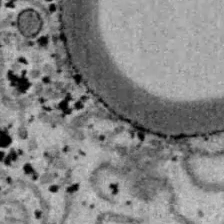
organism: Mouse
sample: Liver from an obese (ob/ob) mouse